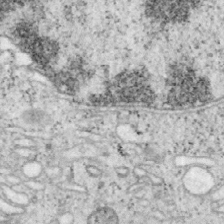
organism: Mouse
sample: OT-I killer T cells with ID8 ovarian cancer cells